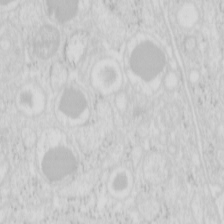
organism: Mouse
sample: Pancreas